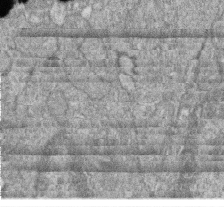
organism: Zebrafish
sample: Cilia; retinal pigment epithelium